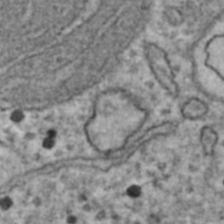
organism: Human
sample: Blood